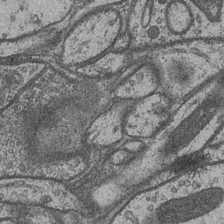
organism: Drosophila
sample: Optic medulla